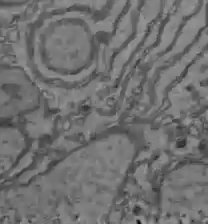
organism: C57BL Mouse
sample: Liver